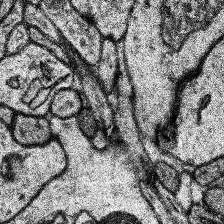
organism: Human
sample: Temporal Lobe